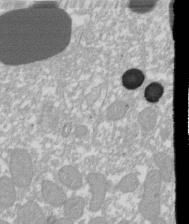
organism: Xenopus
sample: Cilia; centrioles in frog embryo cells